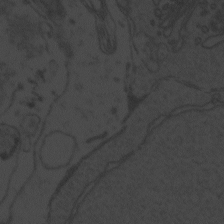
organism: Zebrafish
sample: Macrophage infected with Toxoplasma gondii